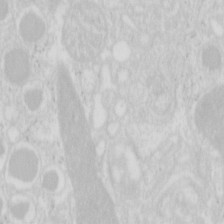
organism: Mouse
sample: Pancreas